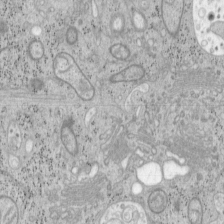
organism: Mouse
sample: OT-I killer T cells with ID8 ovarian cancer cells